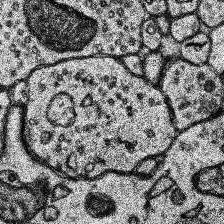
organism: Human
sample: Temporal Lobe